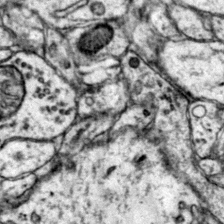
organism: Mouse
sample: Primary visual cortex